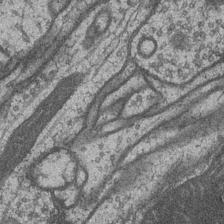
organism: Drosophila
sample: Optic medulla